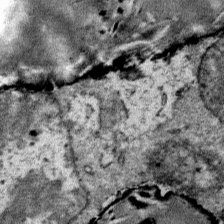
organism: Mouse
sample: Mouse Salivary gland